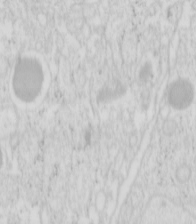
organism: Mouse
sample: Pancreas